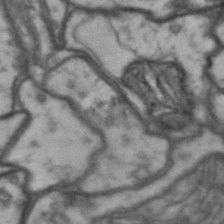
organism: Drosophila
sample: Brain